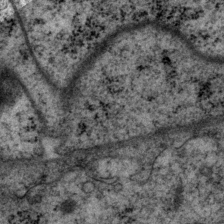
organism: P. pacificus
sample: Pharynx